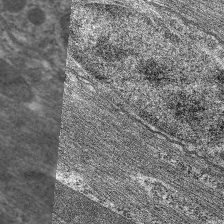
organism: C. elegans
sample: Pharynx